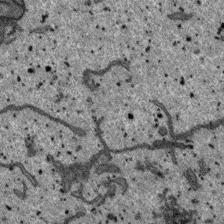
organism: Human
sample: Lung epithelial cells, uninfected (mock) control